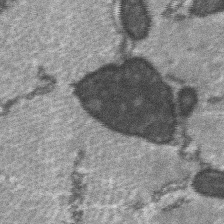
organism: C57BL Mouse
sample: Soleus